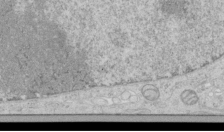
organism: Human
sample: Mitochondria in HCT116 cells